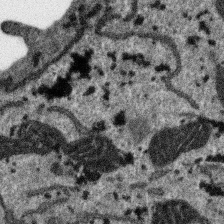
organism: Human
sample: Lung epithelial cells infected with SARS-CoV-2